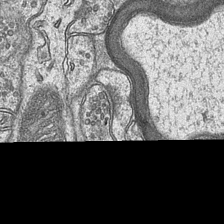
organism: Mouse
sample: CA1 Hippocampus